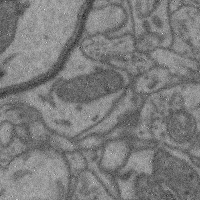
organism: Mouse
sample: Cerebral cortex